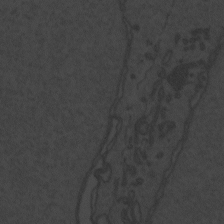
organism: Zebrafish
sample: Macrophage infected with Toxoplasma gondii